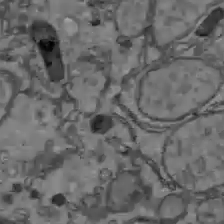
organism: C57BL Mouse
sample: Liver